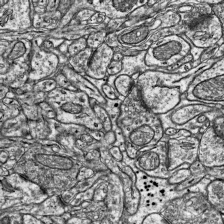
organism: Mouse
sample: Visual Cortex